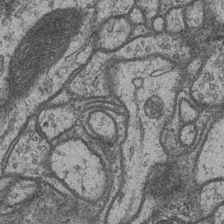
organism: Drosophila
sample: Optic medulla